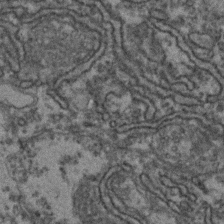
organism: Zebrafish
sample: Zebrafish embryo